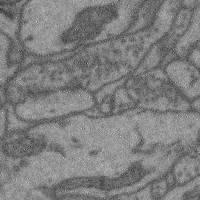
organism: Mouse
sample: Cerebral cortex